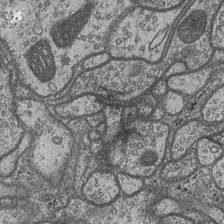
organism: Drosophila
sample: Optic medulla